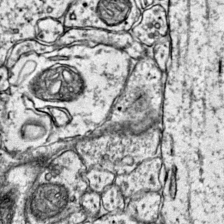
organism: Mouse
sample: Primary visual cortex